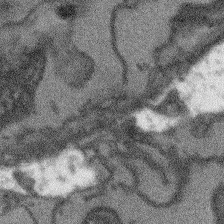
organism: Arabidopsis thaliana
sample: Root tip